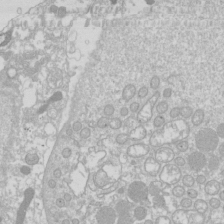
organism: Drosophila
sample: Cell division; meiosis; drosophila spermatocytes